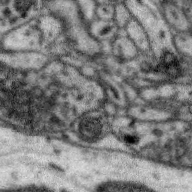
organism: Zebra finch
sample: Brain